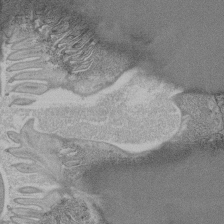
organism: C. elegans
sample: C. elegans pharynx